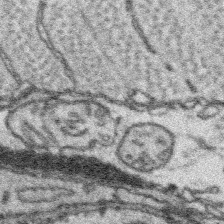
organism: Platynereis dumerilii